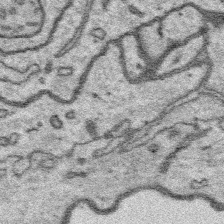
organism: Platynereis dumerilii